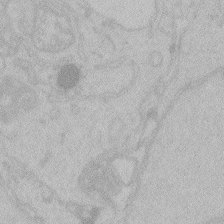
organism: Zebrafish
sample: Macrophage infected with Toxoplasma gondii